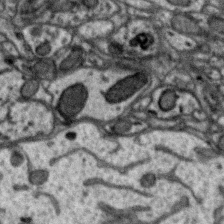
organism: Zebra finch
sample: Brain